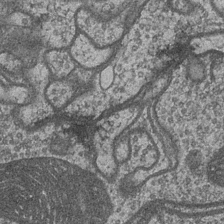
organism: Drosophila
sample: Optic medulla